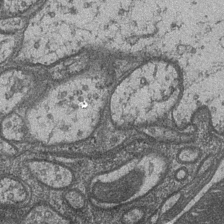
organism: Drosophila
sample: Optic medulla